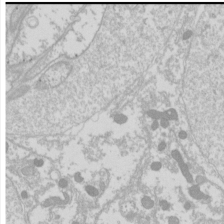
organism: Drosophila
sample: Cell division; meiosis; drosophila spermatocytes